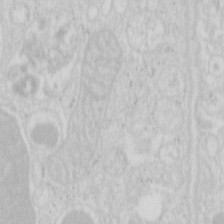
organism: Mouse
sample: Pancreas